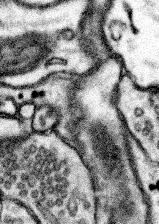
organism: Mouse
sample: Somatosensory cortex neuropil